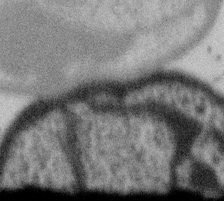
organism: Gemmata obscuriglobus